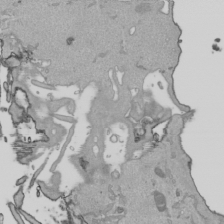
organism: Human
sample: Mitochondria in HCT116 cells